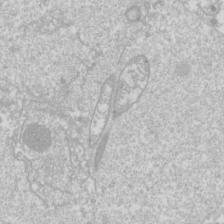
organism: Drosophila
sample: Cell division; meiosis; drosophila spermatocytes